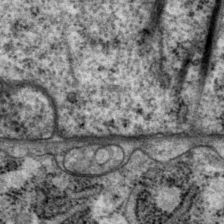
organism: P. pacificus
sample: Pharynx